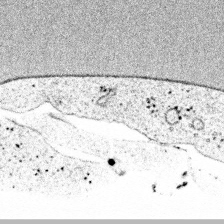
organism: Human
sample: HeLa cells